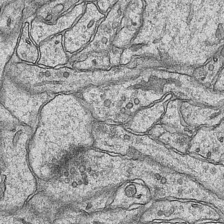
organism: Mouse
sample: CA1 Hippocampus